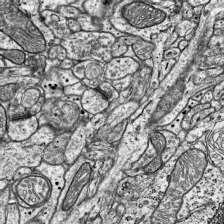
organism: Mouse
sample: Visual Cortex